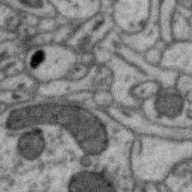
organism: Zebra finch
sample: Brain